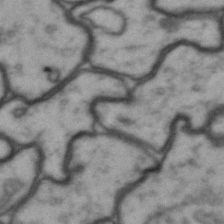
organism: Drosophila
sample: Brain